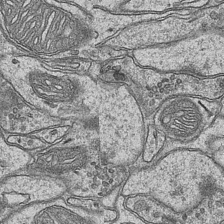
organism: Mouse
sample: CA1 Hippocampus